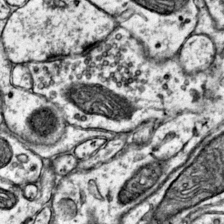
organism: Mouse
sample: Primary visual cortex